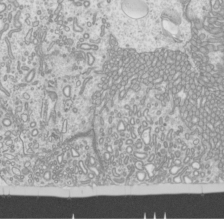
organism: Mouse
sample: Cilia; mouse epididymis